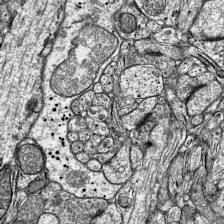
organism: Mouse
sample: Visual Cortex